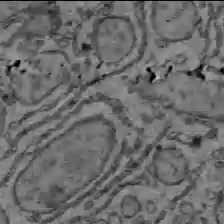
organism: C57BL Mouse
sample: Liver